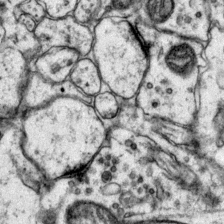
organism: Mouse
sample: Primary visual cortex